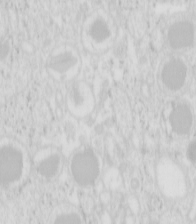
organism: Mouse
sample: Pancreas